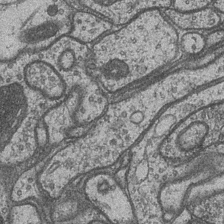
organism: Drosophila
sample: Optic medulla